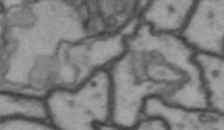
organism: Drosophila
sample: Brain